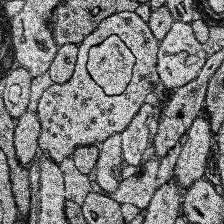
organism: Human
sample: Temporal Lobe